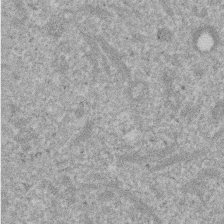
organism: Mouse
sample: Dividing mouse embryo 1 cell stage